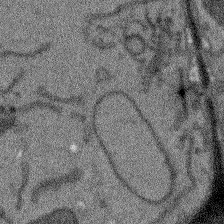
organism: Arabidopsis thaliana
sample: Root tip